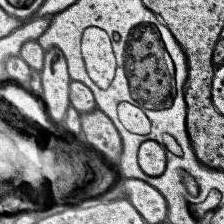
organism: Human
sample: Temporal Lobe